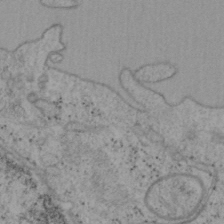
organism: Human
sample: HeLa cells